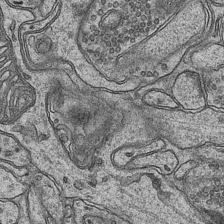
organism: Mouse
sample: CA1 Hippocampus